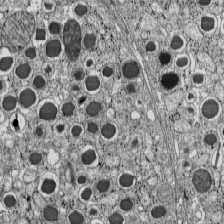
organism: C57BL Mouse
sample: Pancreatic islet